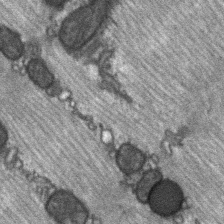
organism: C57BL Mouse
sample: Soleus